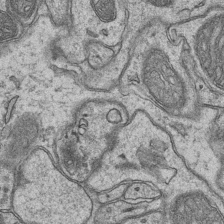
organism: Mouse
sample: CA1 Hippocampus